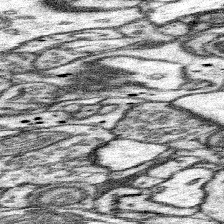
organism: Mouse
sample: Somatosensory cortex neuropil